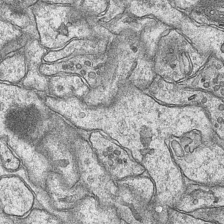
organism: Mouse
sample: CA1 Hippocampus